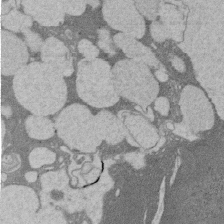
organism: Rat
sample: Salivary granule